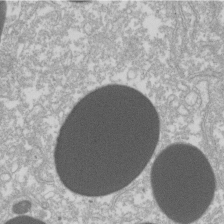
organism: Xenopus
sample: Cilia; centrioles in frog embryo cells